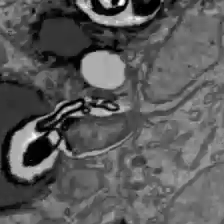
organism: C57BL Mouse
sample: Liver